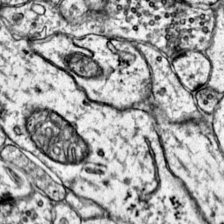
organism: Mouse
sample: Primary visual cortex